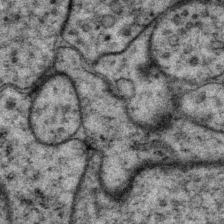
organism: P. pacificus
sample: Pharynx